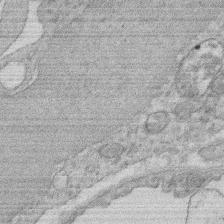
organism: Rat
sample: Salivary granule